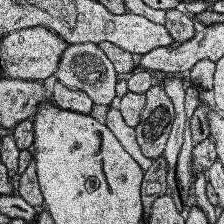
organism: Human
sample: Temporal Lobe